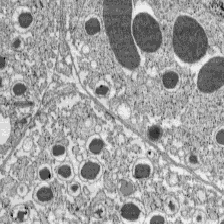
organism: C57BL Mouse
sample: Pancreatic islet